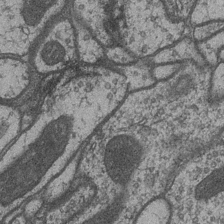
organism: Drosophila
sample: Optic medulla